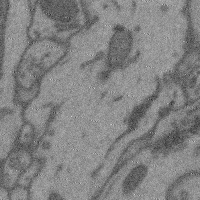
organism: Mouse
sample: Cerebral cortex